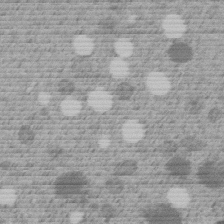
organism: C. elegans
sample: C. elegans embryo early stage